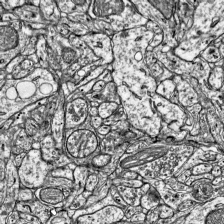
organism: Mouse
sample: Visual Cortex